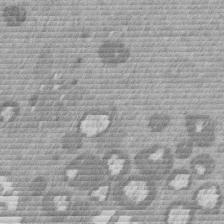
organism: Mouse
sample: Dividing mouse embryo 1 cell stage